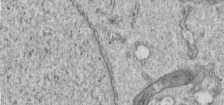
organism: Human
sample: Centriole in RPE cells